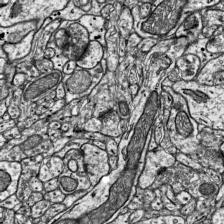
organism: Mouse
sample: Visual Cortex